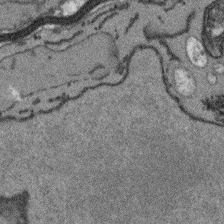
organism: Arabidopsis thaliana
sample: Root tip